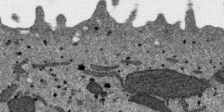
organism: Human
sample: Lung epithelial cells, uninfected (mock) control